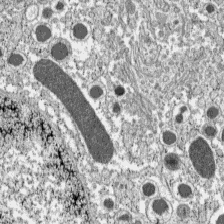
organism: C57BL Mouse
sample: Pancreatic islet